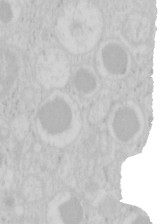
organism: Mouse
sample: Pancreas